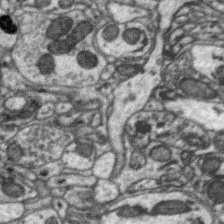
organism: Zebra finch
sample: Brain